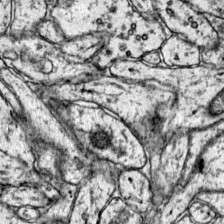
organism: Mouse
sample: Primary visual cortex